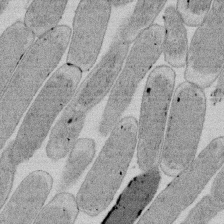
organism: E. coli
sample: Bacterial nucleoid